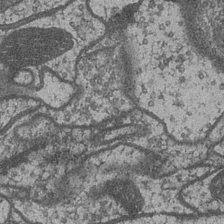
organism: Drosophila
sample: Optic medulla